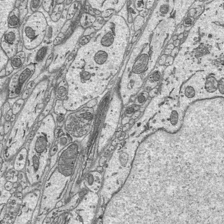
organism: Mouse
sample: Suprachiasmatic nucleus